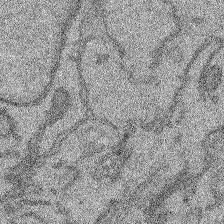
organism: Human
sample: HeLa cells